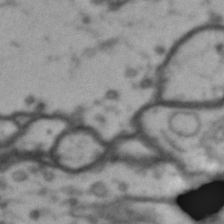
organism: Drosophila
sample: Brain